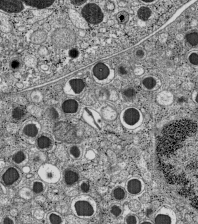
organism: C57BL Mouse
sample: Pancreatic islet